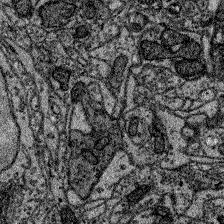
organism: Zebrafish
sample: Larval olfactory bulb